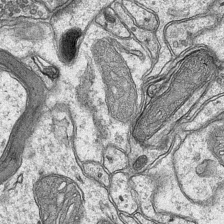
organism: Mouse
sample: CA1 Hippocampus